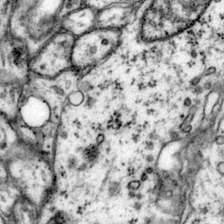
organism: Mouse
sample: Primary visual cortex